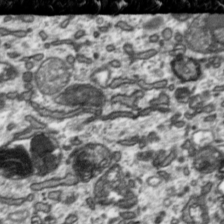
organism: Toxoplasma gondii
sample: Parasites in a vacuole inside a host cell